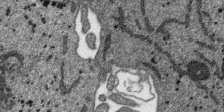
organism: Human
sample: Lung epithelial cells infected with SARS-CoV-2